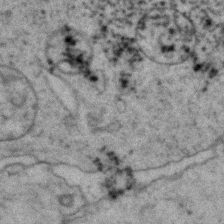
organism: Zebrafish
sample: Zebrafish embryo